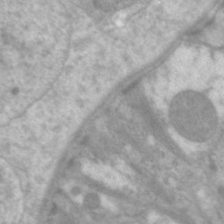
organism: C. elegans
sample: Pharynx